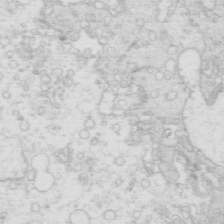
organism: Mouse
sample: Multiciliated cells